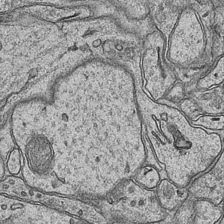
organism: Mouse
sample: CA1 Hippocampus